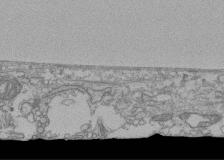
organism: Human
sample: Fibroblast cells